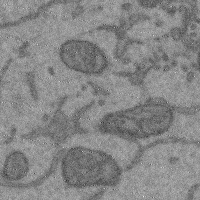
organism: Mouse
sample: Cerebral cortex